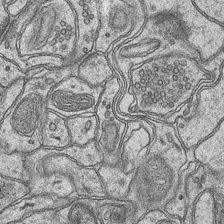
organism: Mouse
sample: CA1 Hippocampus